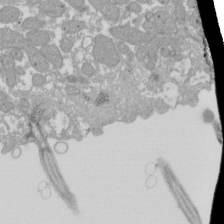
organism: Xenopus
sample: Cilia; centrioles in frog embryo cells